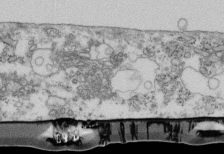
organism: Mouse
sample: Cilia; retinal pigment epithelium